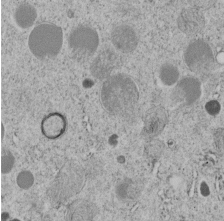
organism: C. elegans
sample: C. elegans embryo early stage